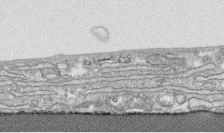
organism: Human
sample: CRL-1474